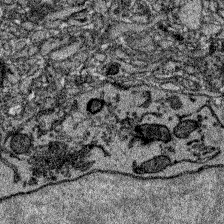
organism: Zebrafish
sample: Larval olfactory bulb